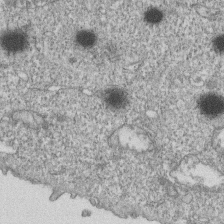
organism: Human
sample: HeLa cell HIV synapse